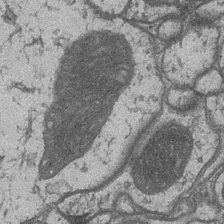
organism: Drosophila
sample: Optic medulla